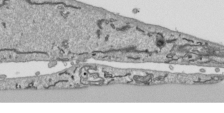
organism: Human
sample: Mitochondria in HCT116 cells